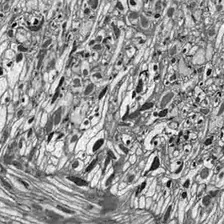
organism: Drosophila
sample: Optic lobe